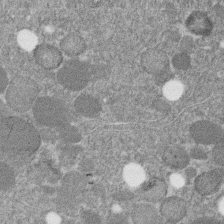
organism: C. elegans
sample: C. elegans embryo early stage